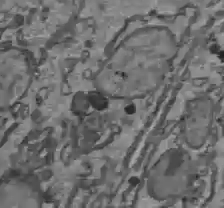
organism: C57BL Mouse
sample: Liver